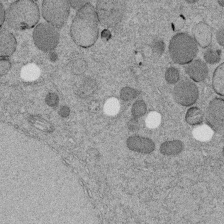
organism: C. elegans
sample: C. elegans embryo early stage